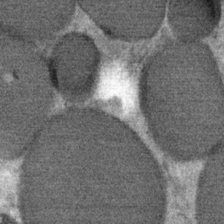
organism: Mouse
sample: Mouse Salivary gland